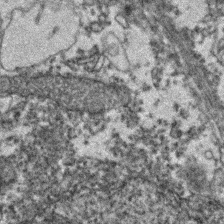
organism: Zebrafish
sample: Zebrafish embryo